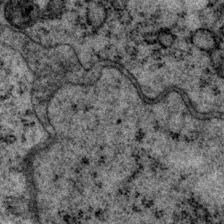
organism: P. pacificus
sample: Pharynx